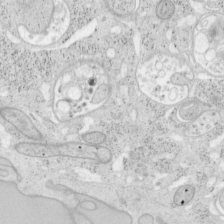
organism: Mouse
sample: OT-I killer T cells with ID8 ovarian cancer cells